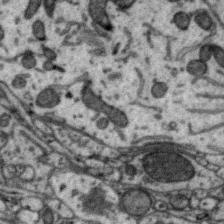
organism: Zebra finch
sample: Brain